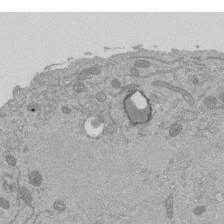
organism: Mouse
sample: ED-1 cell nuclei; centrioles